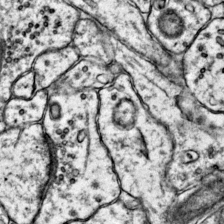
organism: Mouse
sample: Primary visual cortex